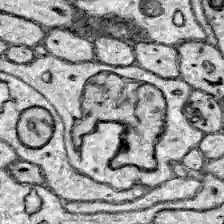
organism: Zebrafish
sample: Brain